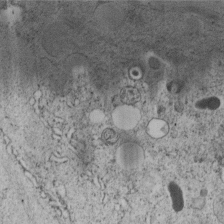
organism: C. elegans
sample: C. elegans embryo early stage